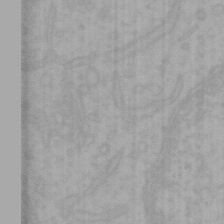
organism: Mouse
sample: Choroid plexus